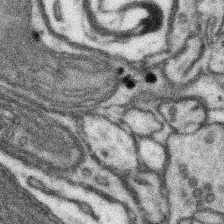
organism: Mouse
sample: Somatosensory cortex neuropil